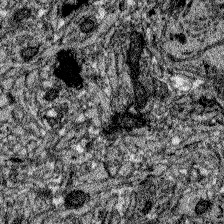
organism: Zebrafish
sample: Larval olfactory bulb